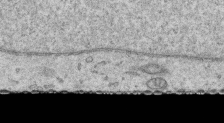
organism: Human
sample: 1205lu cells